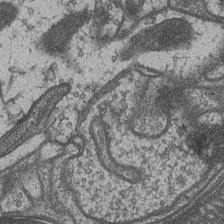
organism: Drosophila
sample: Optic medulla